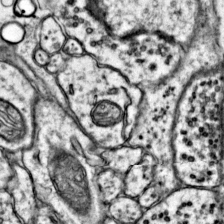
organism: Mouse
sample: Primary visual cortex